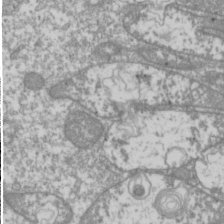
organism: Drosophila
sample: Cell division; meiosis; drosophila spermatocytes